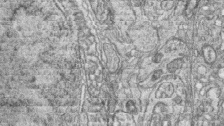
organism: Zebrafish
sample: synaptic ribbons in rod cells and cone cells